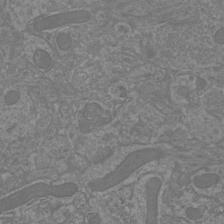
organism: Mouse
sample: Cortical neurons